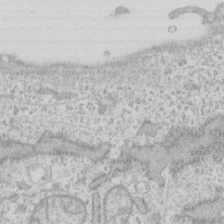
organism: Human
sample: Fibroblast cells